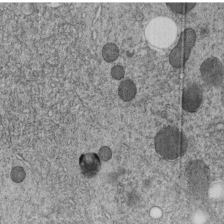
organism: C. elegans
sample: C. elegans embryo early stage